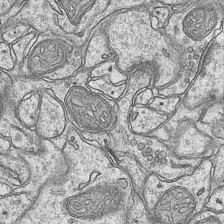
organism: Mouse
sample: CA1 Hippocampus